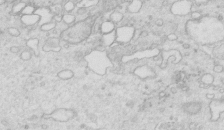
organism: Mouse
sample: Multiciliated cells